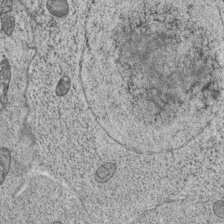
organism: C. elegans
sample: C. elegans oocyte; sperm cells